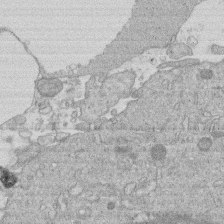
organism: Human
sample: Macrophage cells